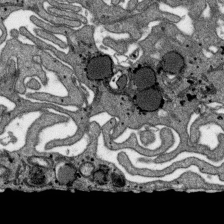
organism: Human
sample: Lung epithelial cells, uninfected (mock) control